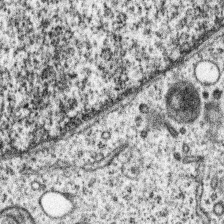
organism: Human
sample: HeLa cells